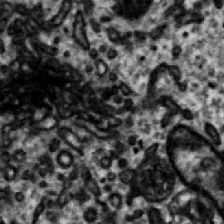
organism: Human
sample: HeLa cells